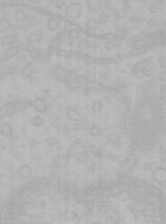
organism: Mouse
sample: Choroid plexus